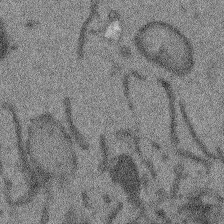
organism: Arabidopsis thaliana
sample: Root tip